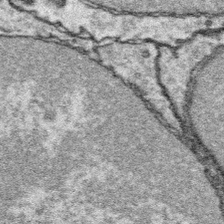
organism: Platynereis dumerilii